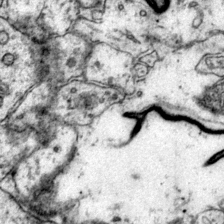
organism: Mouse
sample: Primary visual cortex